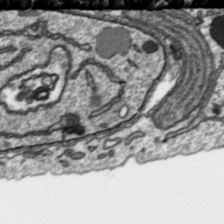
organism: Toxoplasma gondii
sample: Parasites in a vacuole inside a host cell